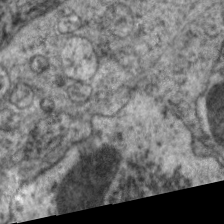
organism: C. elegans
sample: Pharynx